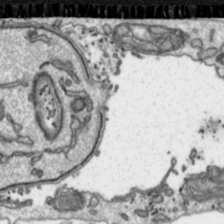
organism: Toxoplasma gondii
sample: Parasites in a vacuole inside a host cell